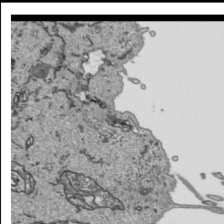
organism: Human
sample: Mitochondria in HCT116 cells